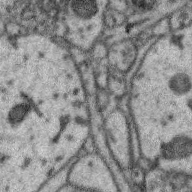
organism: Zebra finch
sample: Brain